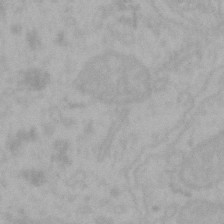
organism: Mouse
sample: Choroid plexus